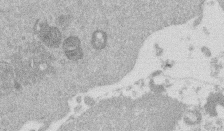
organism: Mouse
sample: Dividing mouse embryo 1 cell stage